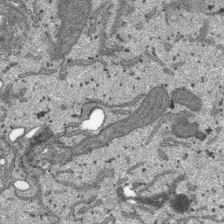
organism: Human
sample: Lung epithelial cells infected with SARS-CoV-2